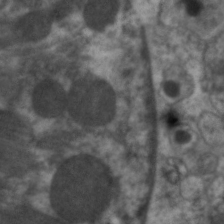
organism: C. elegans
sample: Pharynx